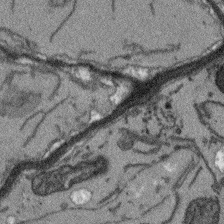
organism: Arabidopsis thaliana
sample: Root tip